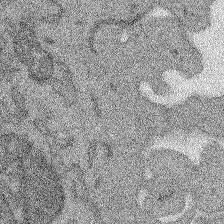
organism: Human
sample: HeLa cells